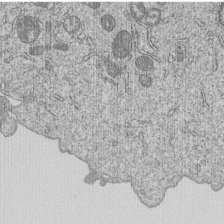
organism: Human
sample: MDA-MB-231 cells